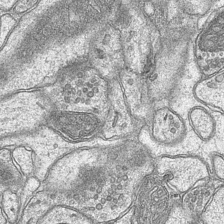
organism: Mouse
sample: CA1 Hippocampus